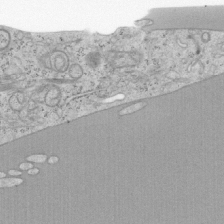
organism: Human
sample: HeLa cells